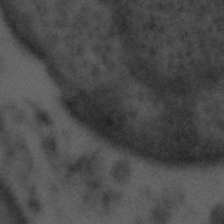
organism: Tuwongella immobilis